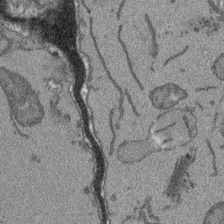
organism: Arabidopsis thaliana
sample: Root tip